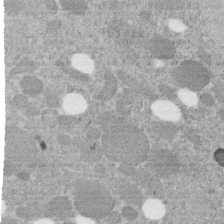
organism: C. elegans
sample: C. elegans embryo early stage